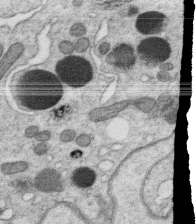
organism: C. elegans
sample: C. elegans oocyte; sperm cells